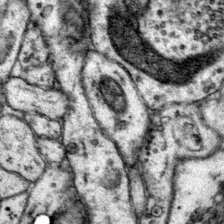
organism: Mouse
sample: Primary visual cortex